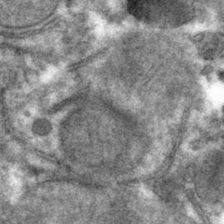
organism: Mouse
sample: Mouse hepatocytes